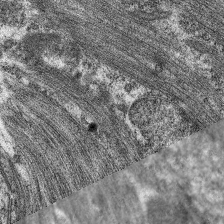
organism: C. elegans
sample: Pharynx